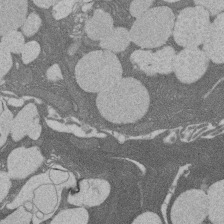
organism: Rat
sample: Salivary granule